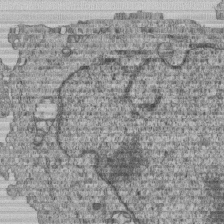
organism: Human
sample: MDA-MB-231 cells